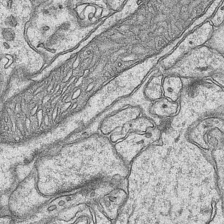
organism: Mouse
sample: CA1 Hippocampus